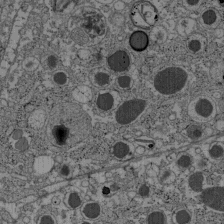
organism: C57BL Mouse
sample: Pancreatic islet